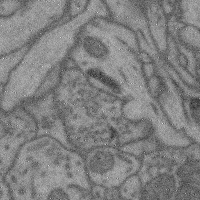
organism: Mouse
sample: Cerebral cortex